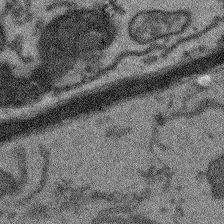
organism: Arabidopsis thaliana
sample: Root tip